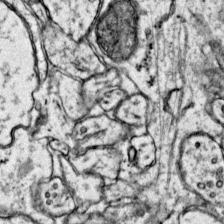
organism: Mouse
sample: Primary visual cortex